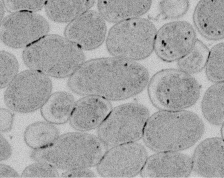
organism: E. coli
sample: Bacterial nucleoid